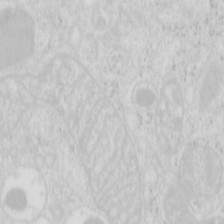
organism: Mouse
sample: Pancreas